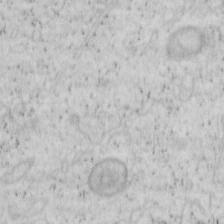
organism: Human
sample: HeLa cells